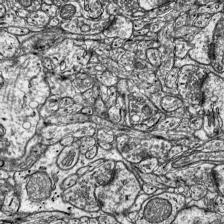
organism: Mouse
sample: Visual Cortex